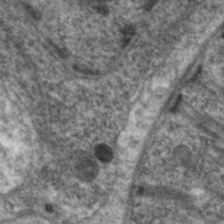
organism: C. elegans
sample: Pharynx